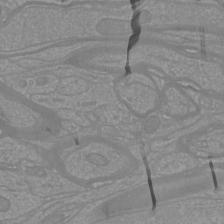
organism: Mouse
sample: Cortical neurons